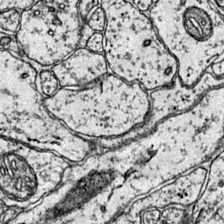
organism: Mouse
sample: Primary visual cortex